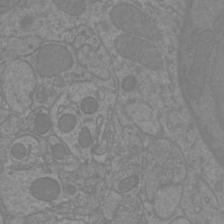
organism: Mouse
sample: Cortical neurons